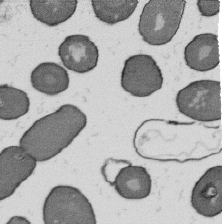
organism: B. subtilis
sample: Bacterial spore